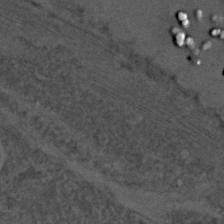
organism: C. elegans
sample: C. elegans embryo